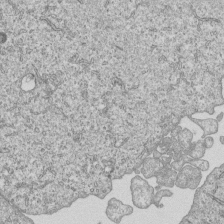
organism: Human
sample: MDA-MB-231 cells